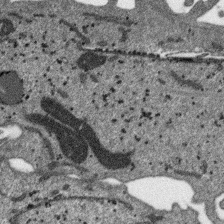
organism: Human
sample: Lung epithelial cells infected with SARS-CoV-2